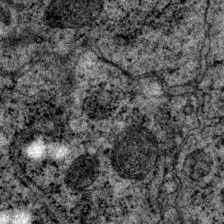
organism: P. pacificus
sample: Pharynx